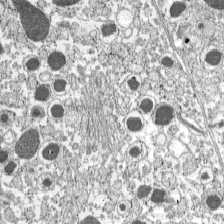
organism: C57BL Mouse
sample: Pancreatic islet